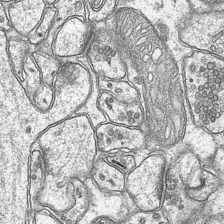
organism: Mouse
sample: CA1 Hippocampus